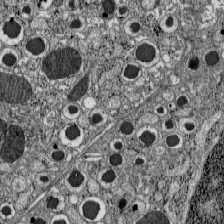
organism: C57BL Mouse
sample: Pancreatic islet